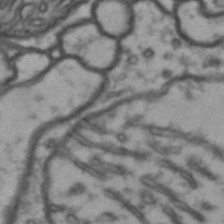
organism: Drosophila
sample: Brain